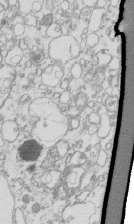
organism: Mouse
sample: Macrophages